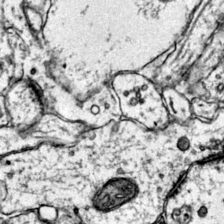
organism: Mouse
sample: Primary visual cortex